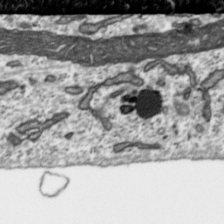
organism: Toxoplasma gondii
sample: Parasites in a vacuole inside a host cell